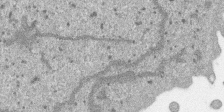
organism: Human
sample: Lung epithelial cells infected with SARS-CoV-2